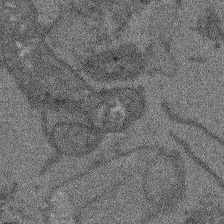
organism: Arabidopsis thaliana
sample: Root tip